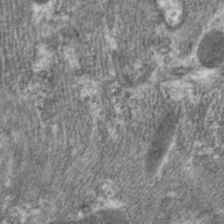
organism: C. elegans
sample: Pharynx